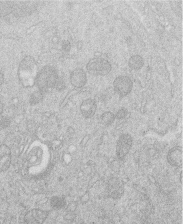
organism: Human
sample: Macrophage cells